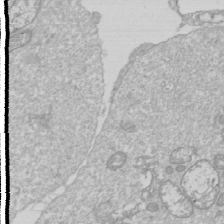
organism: Drosophila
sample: Cell division; meiosis; drosophila spermatocytes